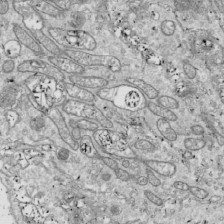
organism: Drosophila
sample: Cell division; meiosis; drosophila spermatocytes